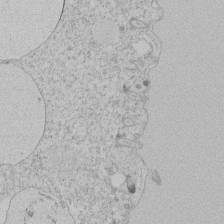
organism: Tetrahymena